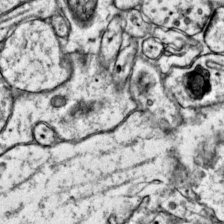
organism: Mouse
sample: Primary visual cortex